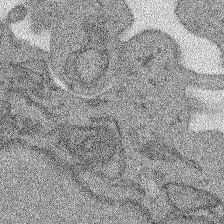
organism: Human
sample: HeLa cells